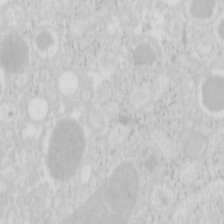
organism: Mouse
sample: Pancreas